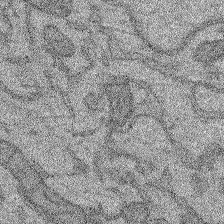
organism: Human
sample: HeLa cells